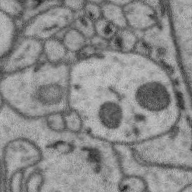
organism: Zebra finch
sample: Brain